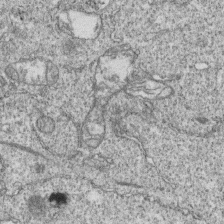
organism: Human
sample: HeLa cell HIV synapse